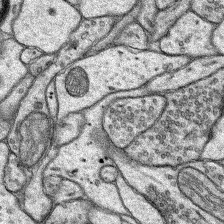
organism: Rat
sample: Hippocampus